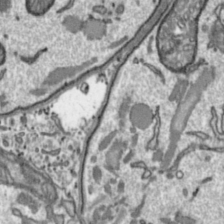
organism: Toxoplasma gondii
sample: Parasites in a vacuole inside a host cell